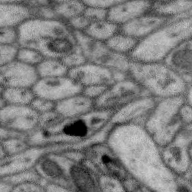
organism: Zebra finch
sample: Brain